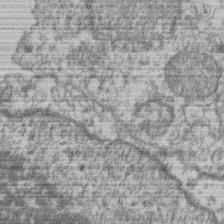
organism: Mouse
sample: T cell stromal cell synapse